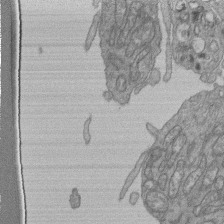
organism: Human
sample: Retinal organoid Rod and Cone cells